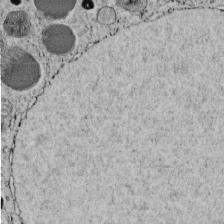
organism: C. elegans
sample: C. elegans embryo early stage